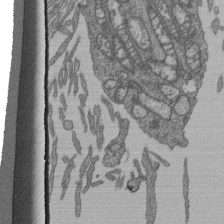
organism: Human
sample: Retinal organoid Rod and Cone cells